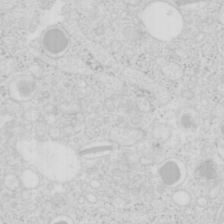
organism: Mouse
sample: Pancreas